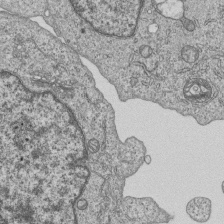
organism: Human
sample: MDA-MB-231 cells